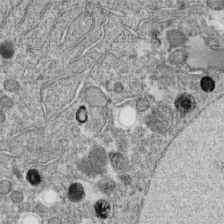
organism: C. elegans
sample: C. elegans oocyte; sperm cells